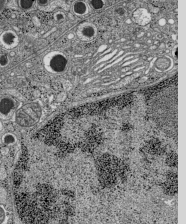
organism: C57BL Mouse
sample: Pancreatic islet